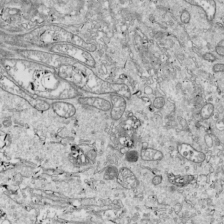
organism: Drosophila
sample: Cell division; meiosis; drosophila spermatocytes